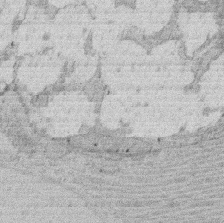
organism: Rat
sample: Salivary granule